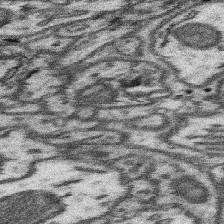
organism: Mouse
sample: Somatosensory cortex neuropil